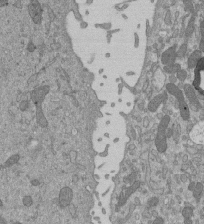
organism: Mouse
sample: ED-1 cell nuclei; centrioles